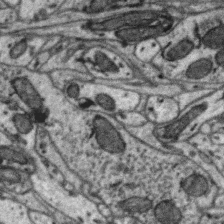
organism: Zebra finch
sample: Brain